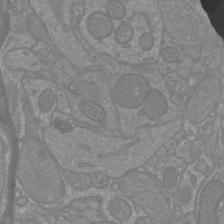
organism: Mouse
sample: Cortical neurons